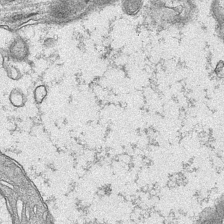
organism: Mouse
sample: CA1 Hippocampus